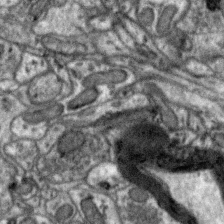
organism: Zebra finch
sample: Brain